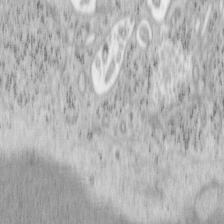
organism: Human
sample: HeLa cells